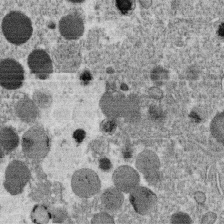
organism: C. elegans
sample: C. elegans oocyte; sperm cells